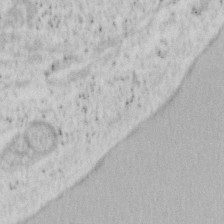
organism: Human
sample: HeLa cells